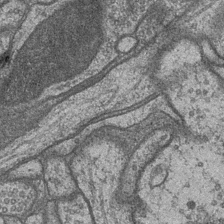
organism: Drosophila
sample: Optic medulla